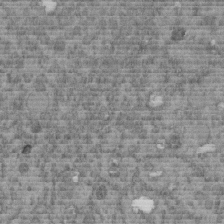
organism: C. elegans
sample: C. elegans embryo early stage